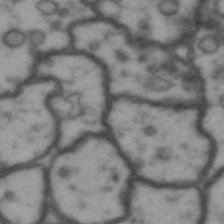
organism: Drosophila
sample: Brain